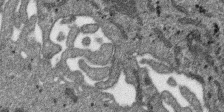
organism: Human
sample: Lung epithelial cells infected with SARS-CoV-2